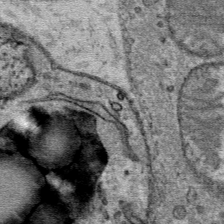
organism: Mouse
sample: Mouse Salivary gland